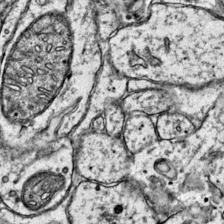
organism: Mouse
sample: Primary visual cortex